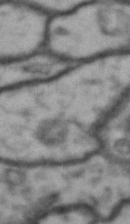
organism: Drosophila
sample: Brain